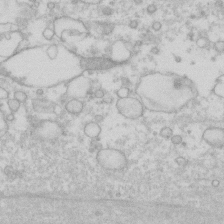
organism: Human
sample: Fibroblast cells